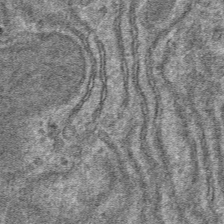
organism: Mouse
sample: Mouse hepatocytes